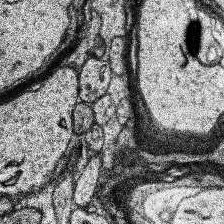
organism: Human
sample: Temporal Lobe